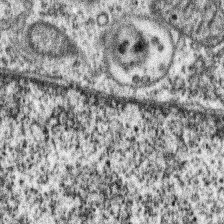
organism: Human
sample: HeLa cells